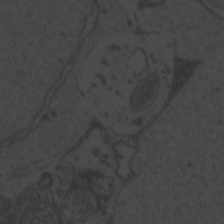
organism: Zebrafish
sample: Macrophage infected with Toxoplasma gondii